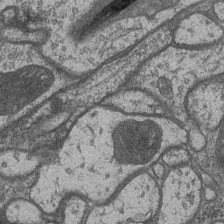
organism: Drosophila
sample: Optic medulla